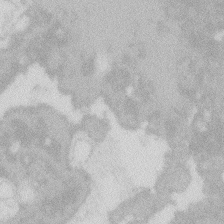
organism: Zebrafish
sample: Macrophage